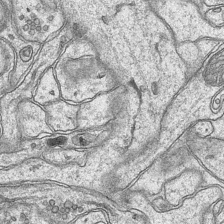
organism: Mouse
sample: CA1 Hippocampus